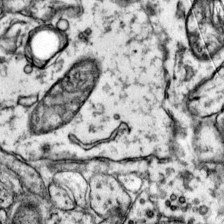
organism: Mouse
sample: Primary visual cortex